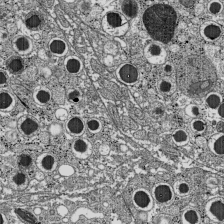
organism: C57BL Mouse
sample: Pancreatic islet